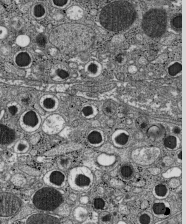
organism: C57BL Mouse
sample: Pancreatic islet